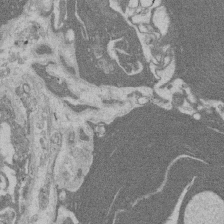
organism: Rat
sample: Salivary granule